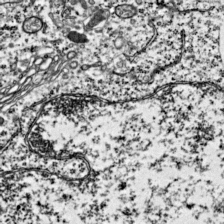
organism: Mouse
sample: Visual Cortex